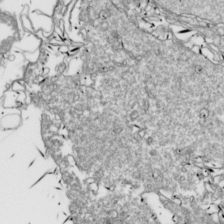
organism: Drosophila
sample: Cell division; meiosis; drosophila spermatocytes